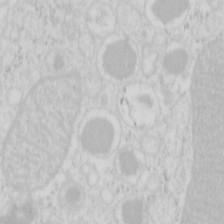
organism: Mouse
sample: Pancreas